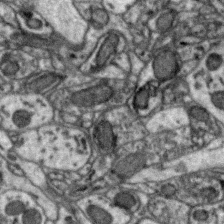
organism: Zebra finch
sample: Brain